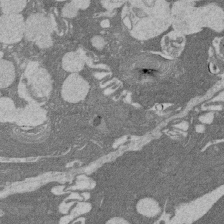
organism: Rat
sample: Salivary granule